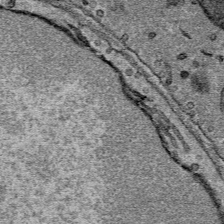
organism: Mouse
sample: Mouse Salivary gland